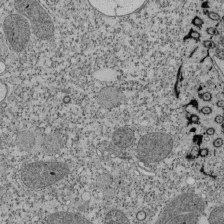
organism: Tetrahymena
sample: Cilia in tetrahymena